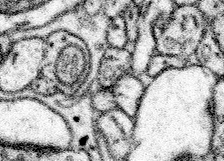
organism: Mouse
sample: Somatosensory cortex neuropil